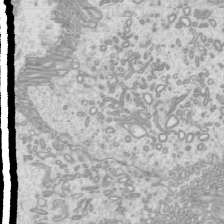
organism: Mouse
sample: Cilia; mouse epididymis